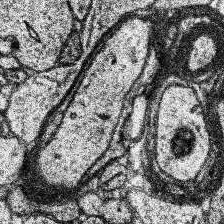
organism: Human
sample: Temporal Lobe